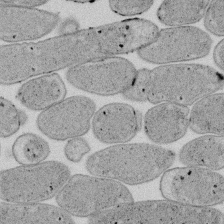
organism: E. coli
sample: Bacterial nucleoid